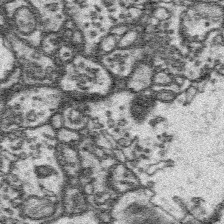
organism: Platynereis dumerilii